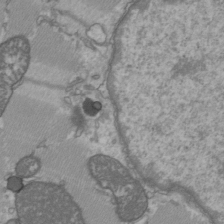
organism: C57BL Mouse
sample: Heart